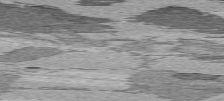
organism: C57BL Mouse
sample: Heart